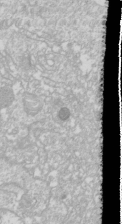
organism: Drosophila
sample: Cell division; meiosis; drosophila spermatocytes